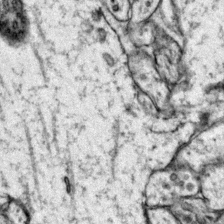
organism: Mouse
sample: Primary visual cortex